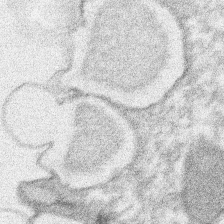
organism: Xenopus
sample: Cilia; centrioles in frog embryo cells